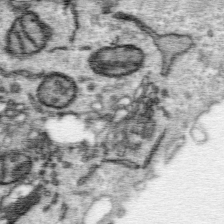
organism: Human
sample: HeLa cells